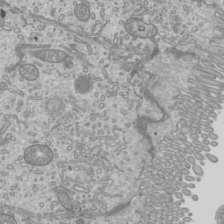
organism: Mouse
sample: Cilia; mouse epididymis